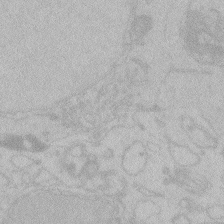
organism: Zebrafish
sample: Macrophage infected with Toxoplasma gondii